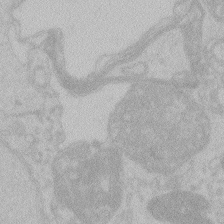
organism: Zebrafish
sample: Macrophage infected with Toxoplasma gondii